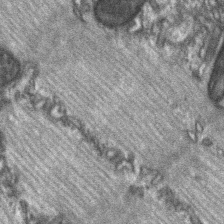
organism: C57BL Mouse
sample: Soleus